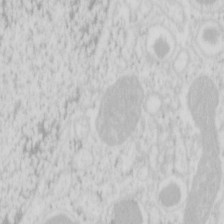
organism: Mouse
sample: Pancreas